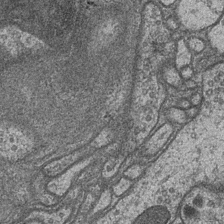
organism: Drosophila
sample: Optic medulla